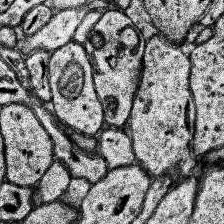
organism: Human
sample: Temporal Lobe